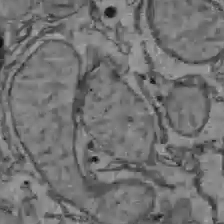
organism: C57BL Mouse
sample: Liver